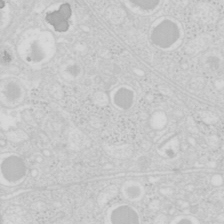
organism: Mouse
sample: Pancreas